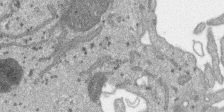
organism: Human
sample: Lung epithelial cells infected with SARS-CoV-2